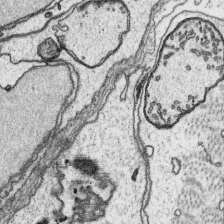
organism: Platynereis dumerilii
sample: Parapodia